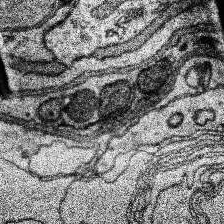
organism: Human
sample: Temporal Lobe